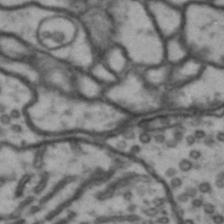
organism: Drosophila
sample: Brain